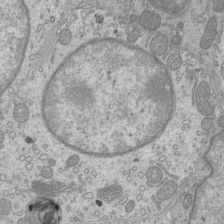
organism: Mouse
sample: Cilia; mouse epididymis